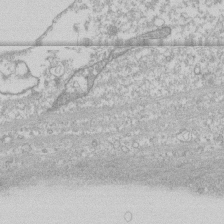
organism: Human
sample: CRL-1474